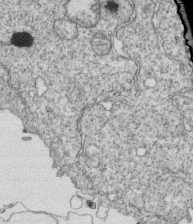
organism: Human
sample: HeLa cell HIV synapse